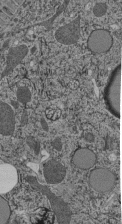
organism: C. elegans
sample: C. elegans pharynx